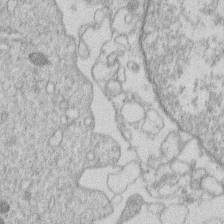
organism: Human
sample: Macrophage cells